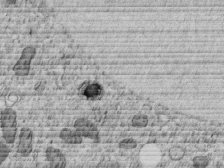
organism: C. elegans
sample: C. elegans embryo early stage